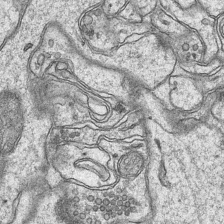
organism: Mouse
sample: CA1 Hippocampus